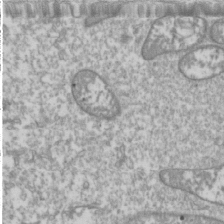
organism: Drosophila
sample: Cell division; meiosis; drosophila spermatocytes